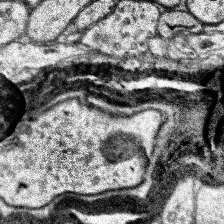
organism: Human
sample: Temporal Lobe